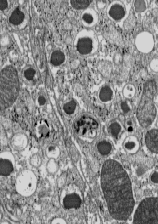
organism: C57BL Mouse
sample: Pancreatic islet